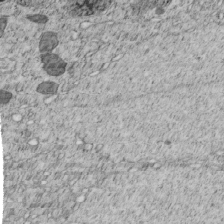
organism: C. elegans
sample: C. elegans embryo early stage